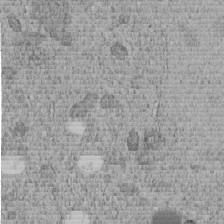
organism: C. elegans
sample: C. elegans embryo early stage